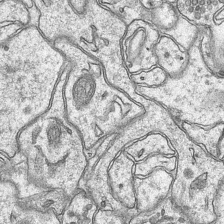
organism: Mouse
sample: CA1 Hippocampus